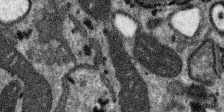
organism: Human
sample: Lung epithelial cells infected with SARS-CoV-2